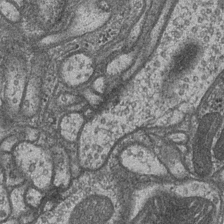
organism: Drosophila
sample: Optic medulla